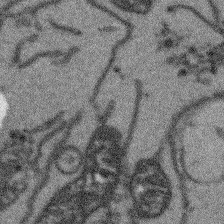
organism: Arabidopsis thaliana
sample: Root tip